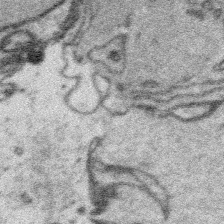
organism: Platynereis dumerilii